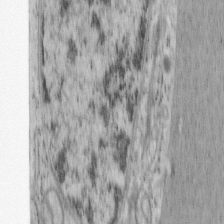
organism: Human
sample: HeLa cells